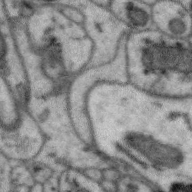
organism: Zebra finch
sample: Brain